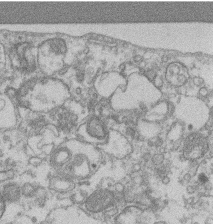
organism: Mouse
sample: T cell stromal cell synapse